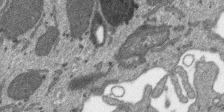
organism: Human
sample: Lung epithelial cells infected with SARS-CoV-2